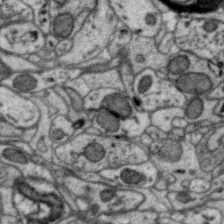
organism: Zebra finch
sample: Brain